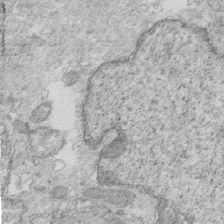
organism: Mouse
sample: Multiciliated cells